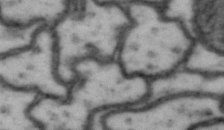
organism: Drosophila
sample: Brain